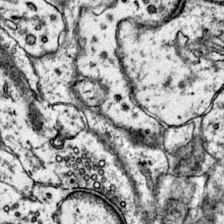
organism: Mouse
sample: Primary visual cortex